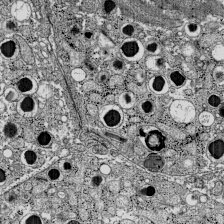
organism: C57BL Mouse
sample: Pancreatic islet